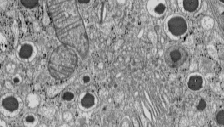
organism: C57BL Mouse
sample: Pancreatic islet